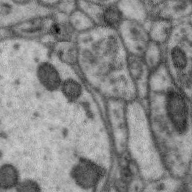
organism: Zebra finch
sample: Brain